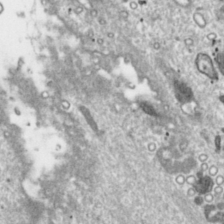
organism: Toxoplasma gondii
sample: Parasites in a vacuole inside a host cell